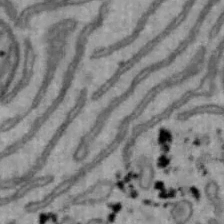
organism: Mouse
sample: Liver